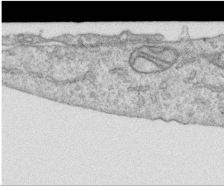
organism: Human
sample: Centriole in RPE cells